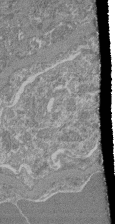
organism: Mouse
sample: Glomerulus